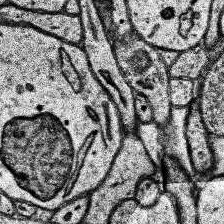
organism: Human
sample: Temporal Lobe